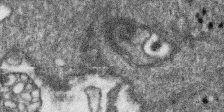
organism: Human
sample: Lung epithelial cells infected with SARS-CoV-2